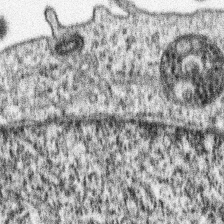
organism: Human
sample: HeLa cells